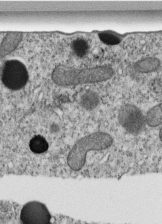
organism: C. elegans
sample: C. elegans embryo early stage